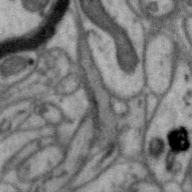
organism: Zebra finch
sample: Brain